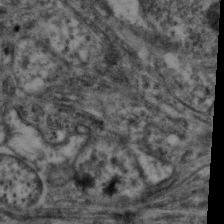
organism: Mouse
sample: Neocortex